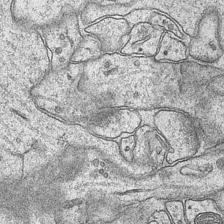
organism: Mouse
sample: CA1 Hippocampus